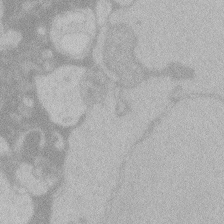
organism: Zebrafish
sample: Macrophage infected with Toxoplasma gondii